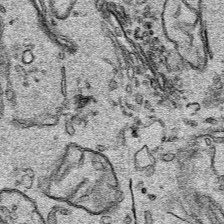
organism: Human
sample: Mitochondria in HCT116 cells